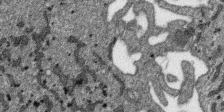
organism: Human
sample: Lung epithelial cells infected with SARS-CoV-2